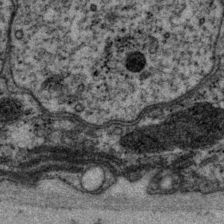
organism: P. pacificus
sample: Pharynx